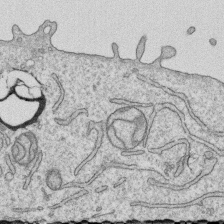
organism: Human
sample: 1205lu cells